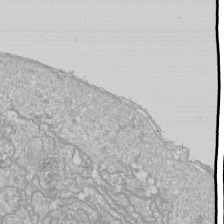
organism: Drosophila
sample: Cell division; meiosis; drosophila spermatocytes